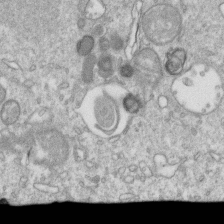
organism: Mouse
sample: Activated OT-1 CD8+ T cells